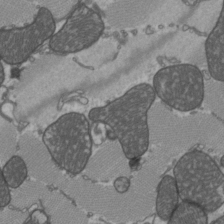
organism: C57BL Mouse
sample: Heart